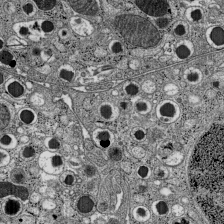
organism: C57BL Mouse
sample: Pancreatic islet